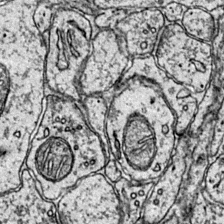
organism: Mouse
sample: Primary visual cortex